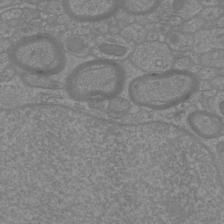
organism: Mouse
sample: Cortical neurons